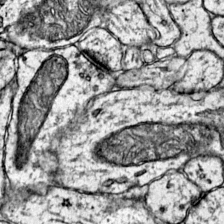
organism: Mouse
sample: Primary visual cortex